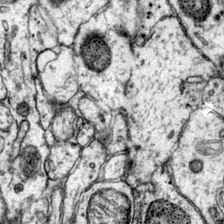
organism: Mouse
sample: Primary visual cortex